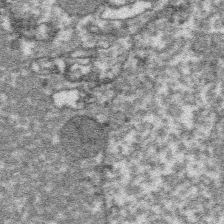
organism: Platynereis dumerilii